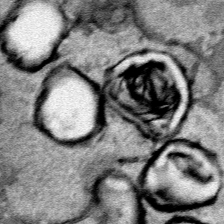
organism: Human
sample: Mitochondria in HCT116 cells